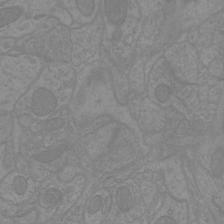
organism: Mouse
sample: Cortical neurons